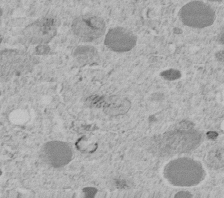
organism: C. elegans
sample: C. elegans embryo early stage